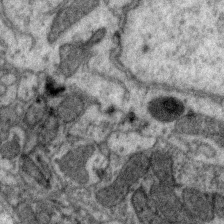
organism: Zebra finch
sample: Brain